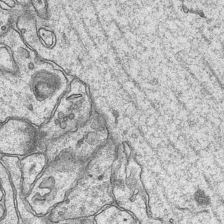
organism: Mouse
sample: CA1 Hippocampus